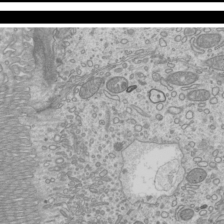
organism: Mouse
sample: Cilia; mouse epididymis